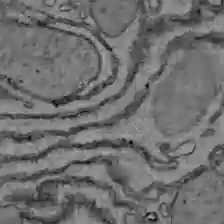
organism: C57BL Mouse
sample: Liver